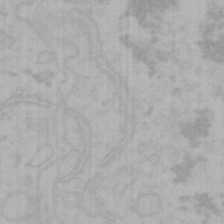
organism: Mouse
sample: Choroid plexus